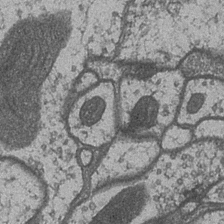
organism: Drosophila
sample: Optic medulla